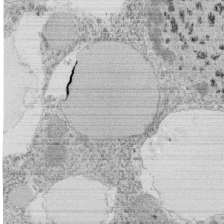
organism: Tetrahymena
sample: Cilia in tetrahymena